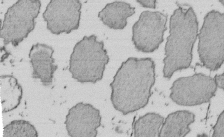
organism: E. coli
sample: Bacterial nucleoid